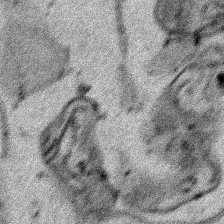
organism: Human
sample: Mitochondria in HCT116 cells